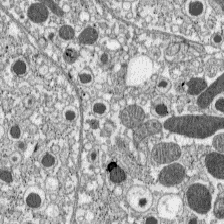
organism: C57BL Mouse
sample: Pancreatic islet